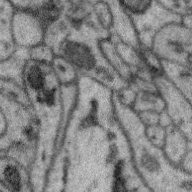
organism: Zebra finch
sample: Brain